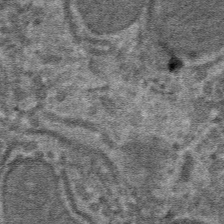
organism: Mouse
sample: Mouse hepatocytes